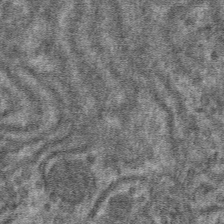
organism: Mouse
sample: Mouse hepatocytes